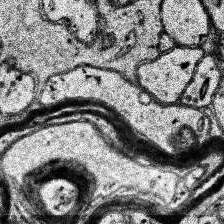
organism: Human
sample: Temporal Lobe